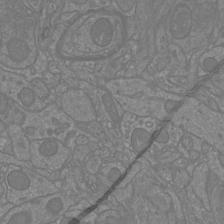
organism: Mouse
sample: Cortical neurons